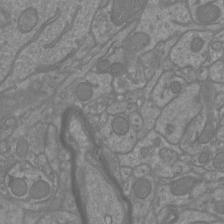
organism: Mouse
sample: Cortical neurons